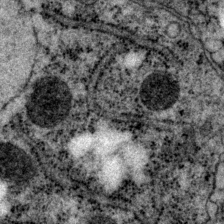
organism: P. pacificus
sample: Pharynx